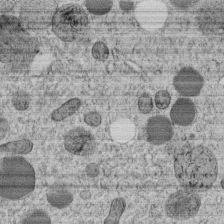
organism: C. elegans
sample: C. elegans embryo early stage